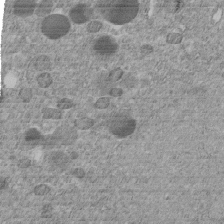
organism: C. elegans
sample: C. elegans embryo early stage